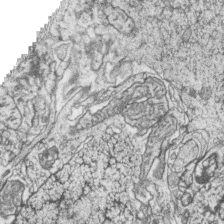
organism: Zebrafish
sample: synaptic ribbons in rod cells and cone cells